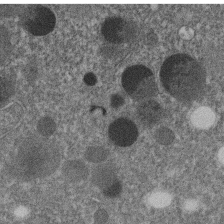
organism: C. elegans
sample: C. elegans embryo early stage